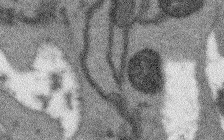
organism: Arabidopsis thaliana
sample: Root tip